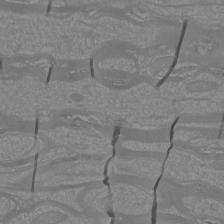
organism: Mouse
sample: Cortical neurons